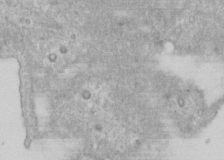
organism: Human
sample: Cilia; basal body in RPE cells